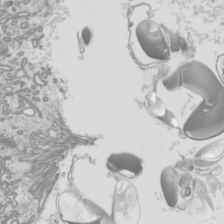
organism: Mouse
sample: Cilia; mouse epididymis